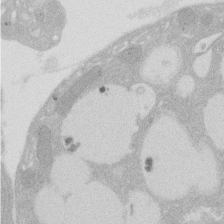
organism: Rat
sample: Salivary granule